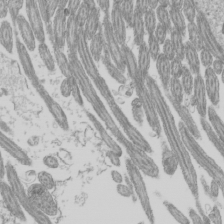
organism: Mouse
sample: Cilia; mouse epididymis